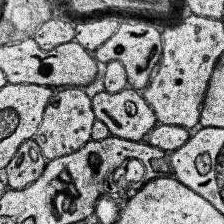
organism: Human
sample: Temporal Lobe